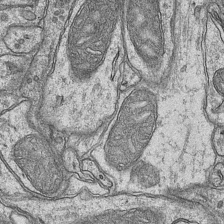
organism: Mouse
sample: CA1 Hippocampus